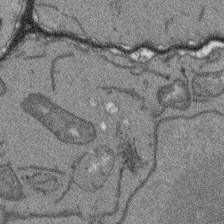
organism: Arabidopsis thaliana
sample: Root tip